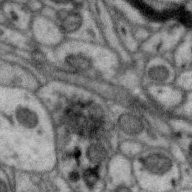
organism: Zebra finch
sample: Brain